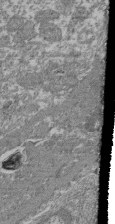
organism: Mouse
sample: Glomerulus